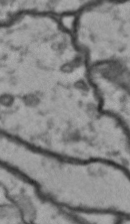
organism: Drosophila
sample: Brain